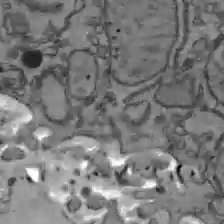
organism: C57BL Mouse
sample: Liver